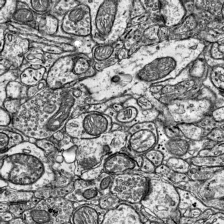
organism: Mouse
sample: Visual Cortex